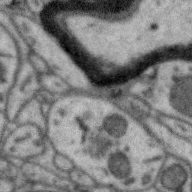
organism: Zebra finch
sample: Brain